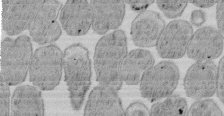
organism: E. coli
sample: Bacterial nucleoid